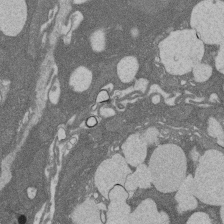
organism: Rat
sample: Salivary granule